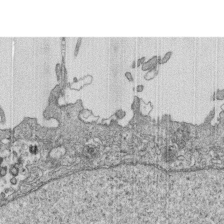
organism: Human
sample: HeLa cell HIV synapse